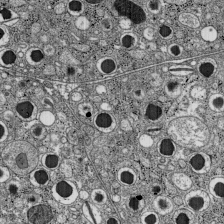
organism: C57BL Mouse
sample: Pancreatic islet